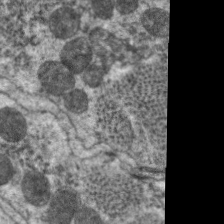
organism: C. elegans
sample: Pharynx